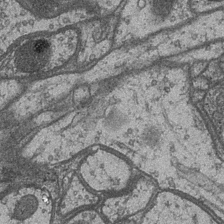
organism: Drosophila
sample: Optic medulla